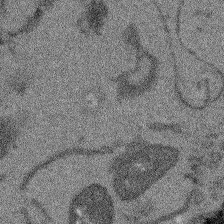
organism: Arabidopsis thaliana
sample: Root tip